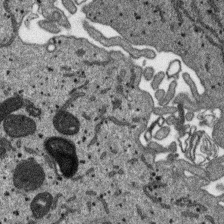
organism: Human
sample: Lung epithelial cells infected with SARS-CoV-2